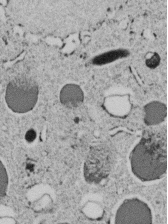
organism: C. elegans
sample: C. elegans embryo early stage